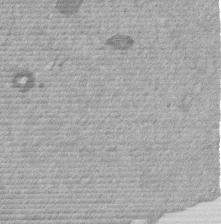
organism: Mouse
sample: Dividing mouse embryo 1 cell stage